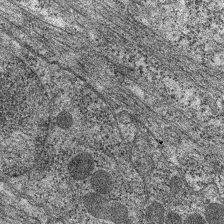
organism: C. elegans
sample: Pharynx